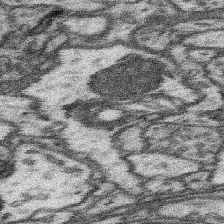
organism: Mouse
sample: Somatosensory cortex neuropil